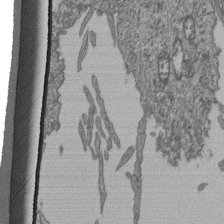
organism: Human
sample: Retinal organoid Rod and Cone cells